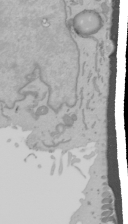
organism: Mouse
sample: Cancer cell death in ED-1 cells